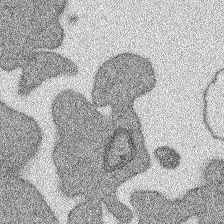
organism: Human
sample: HeLa cells